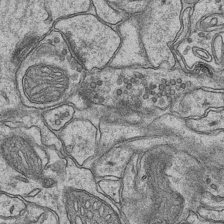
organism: Mouse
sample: CA1 Hippocampus